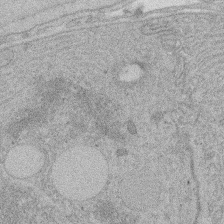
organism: Rat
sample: Salivary granule